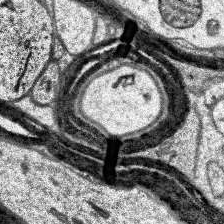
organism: Human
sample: Temporal Lobe